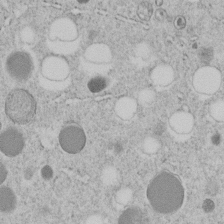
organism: C. elegans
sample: C. elegans embryo early stage